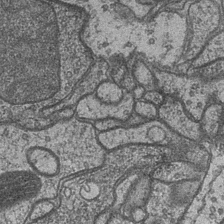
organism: Drosophila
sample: Optic medulla